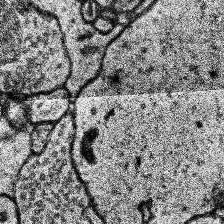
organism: Human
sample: Temporal Lobe